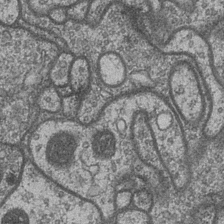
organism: Drosophila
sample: Optic medulla